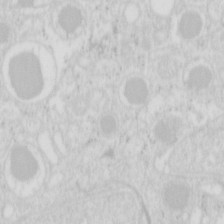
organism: Mouse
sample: Pancreas